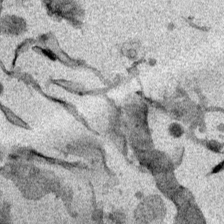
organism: Mouse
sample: Cancer cell death in ED-1 cells